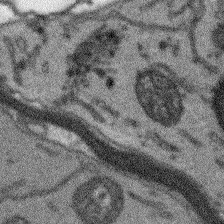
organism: Arabidopsis thaliana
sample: Root tip